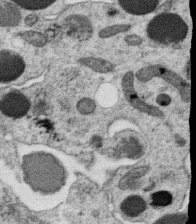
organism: C. elegans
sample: C. elegans oocyte; sperm cells